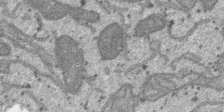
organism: Human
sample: Lung epithelial cells infected with SARS-CoV-2